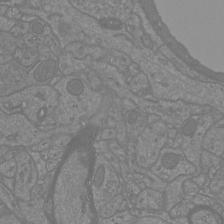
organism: Mouse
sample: Cortical neurons